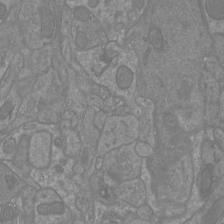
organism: Mouse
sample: Cortical neurons